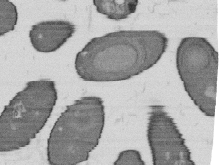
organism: B. subtilis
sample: Bacterial spore